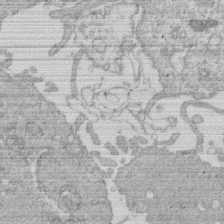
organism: Human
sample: Macrophage cells